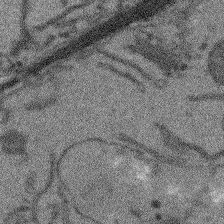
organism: Arabidopsis thaliana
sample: Root tip